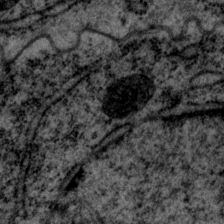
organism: P. pacificus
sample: Pharynx